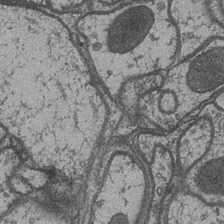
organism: Drosophila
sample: Optic medulla